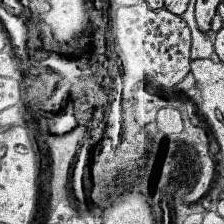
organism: Human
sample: Temporal Lobe